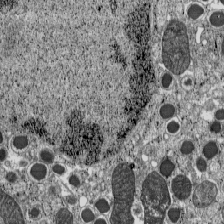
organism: C57BL Mouse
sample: Pancreatic islet